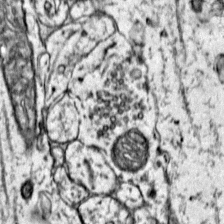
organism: Mouse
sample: Primary visual cortex